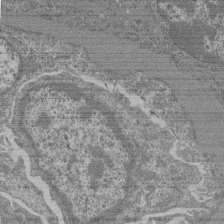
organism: Mouse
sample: Glomerulus